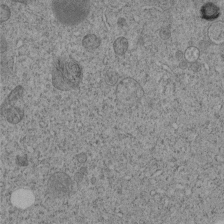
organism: C. elegans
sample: C. elegans embryo early stage